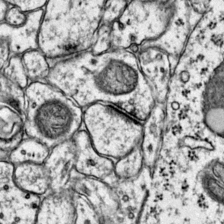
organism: Mouse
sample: Primary visual cortex